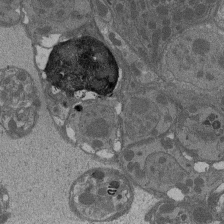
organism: Drosophila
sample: Antenna